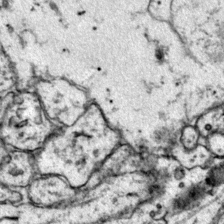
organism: Mouse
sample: Primary visual cortex